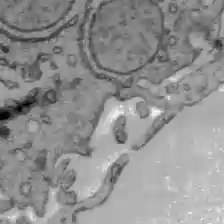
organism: C57BL Mouse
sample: Liver